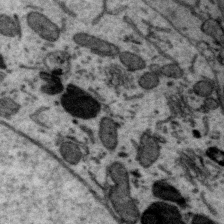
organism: Zebra finch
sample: Brain